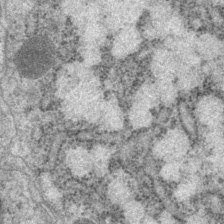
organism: P. pacificus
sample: Pharynx